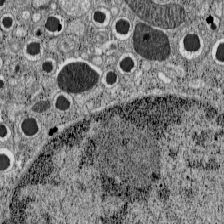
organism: C57BL Mouse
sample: Pancreatic islet